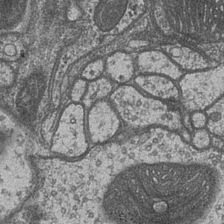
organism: Drosophila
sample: Optic medulla